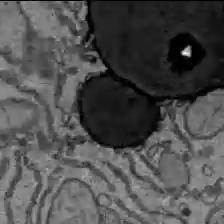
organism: C57BL Mouse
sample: Liver